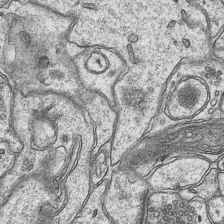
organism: Mouse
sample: CA1 Hippocampus